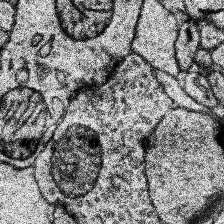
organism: Human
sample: Temporal Lobe